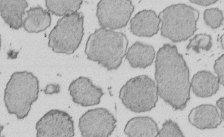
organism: E. coli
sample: Bacterial nucleoid